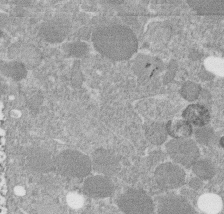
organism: C. elegans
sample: C. elegans embryo early stage